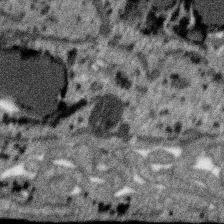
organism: Human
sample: Lung epithelial cells infected with SARS-CoV-2